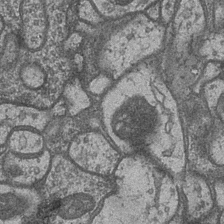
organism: Drosophila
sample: Optic medulla